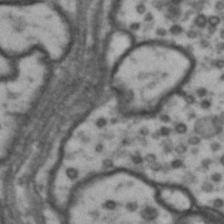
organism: Drosophila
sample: Brain